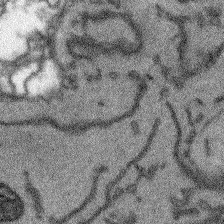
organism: Arabidopsis thaliana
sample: Root tip